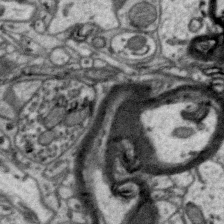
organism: Zebra finch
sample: Brain